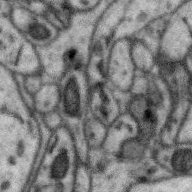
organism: Zebra finch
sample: Brain